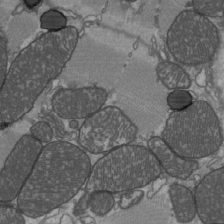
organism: C57BL Mouse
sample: Heart